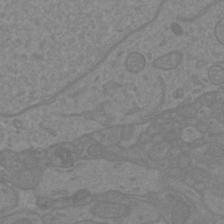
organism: Mouse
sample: Cortical neurons